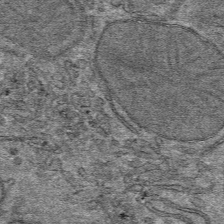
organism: Mouse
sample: Mouse hepatocytes